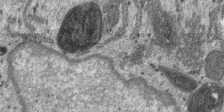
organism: Human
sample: Lung epithelial cells infected with SARS-CoV-2